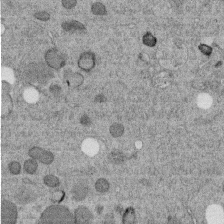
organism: C. elegans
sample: C. elegans embryo early stage